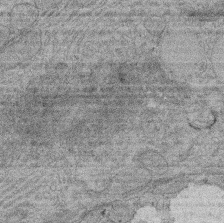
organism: Rat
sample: Salivary granule